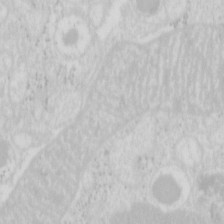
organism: Mouse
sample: Pancreas